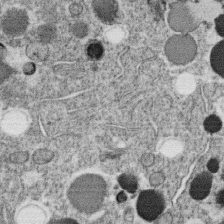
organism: C. elegans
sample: C. elegans oocyte; sperm cells